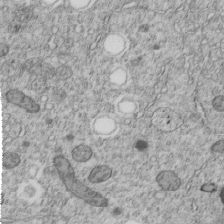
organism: C. elegans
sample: C. elegans embryo early stage